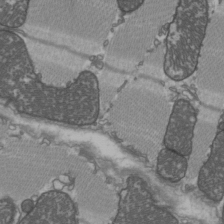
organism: C57BL Mouse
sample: Heart